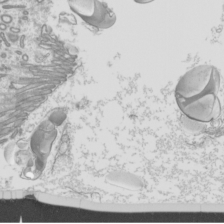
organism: Mouse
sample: Cilia; mouse epididymis